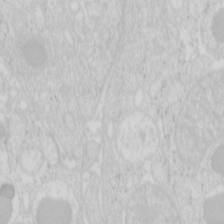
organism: Mouse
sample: Pancreas